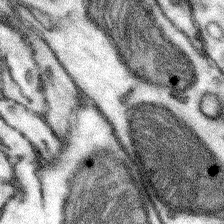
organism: Mouse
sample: Somatosensory cortex neuropil